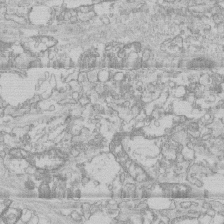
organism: Human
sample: CRL-1474